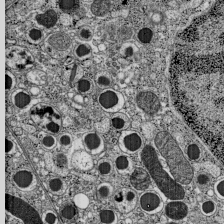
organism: C57BL Mouse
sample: Pancreatic islet